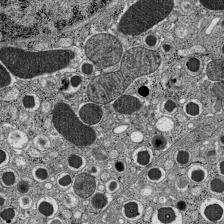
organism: C57BL Mouse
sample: Pancreatic islet